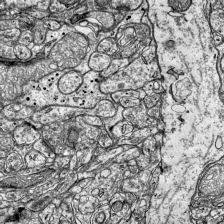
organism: Mouse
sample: Visual Cortex